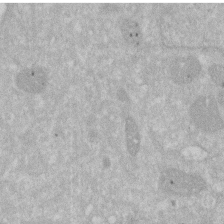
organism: Human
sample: HIV infected U937 cells